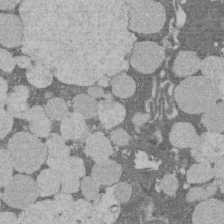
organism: Rat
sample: Salivary granule